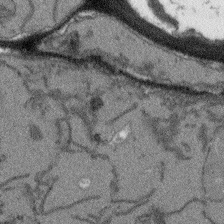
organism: Arabidopsis thaliana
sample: Root tip